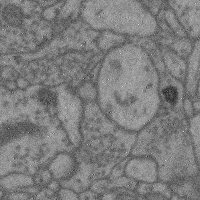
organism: Mouse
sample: Cerebral cortex